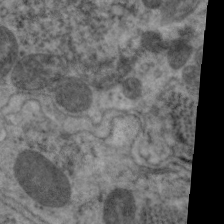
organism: C. elegans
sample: Pharynx